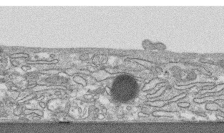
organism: Human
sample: CRL-1474